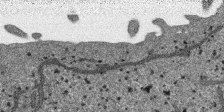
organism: Human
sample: Lung epithelial cells infected with SARS-CoV-2